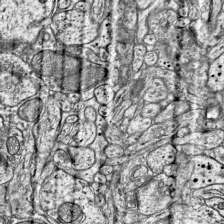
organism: Mouse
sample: Visual Cortex